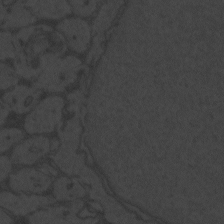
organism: Zebrafish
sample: Macrophage infected with Toxoplasma gondii